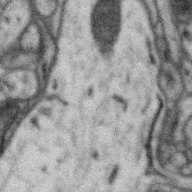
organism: Zebra finch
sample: Brain